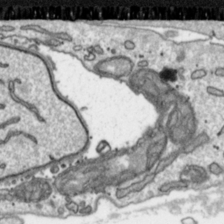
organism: Toxoplasma gondii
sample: Parasites in a vacuole inside a host cell